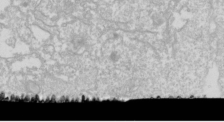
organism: Drosophila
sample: Cell division; meiosis; drosophila spermatocytes